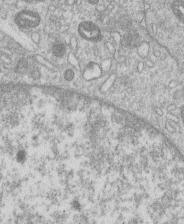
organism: Human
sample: Macrophage cells